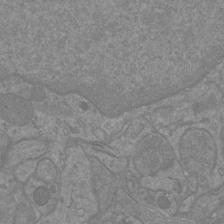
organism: Mouse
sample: Cortical neurons